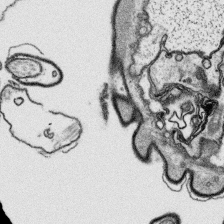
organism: Platynereis dumerilii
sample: Parapodia